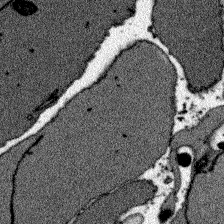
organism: Zebrafish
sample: Larval olfactory bulb